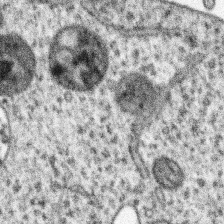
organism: Human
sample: HeLa cells